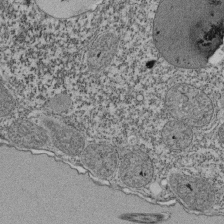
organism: Tetrahymena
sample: Cilia in tetrahymena